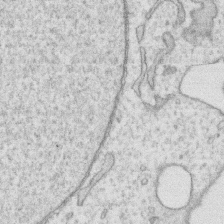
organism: Human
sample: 1205lu cells